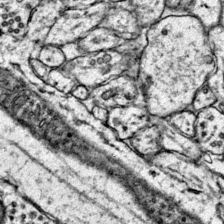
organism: Mouse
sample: Primary visual cortex